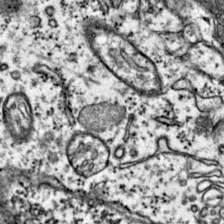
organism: Mouse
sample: Primary visual cortex